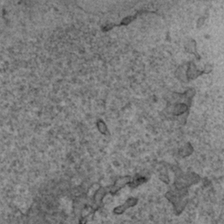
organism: Human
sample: Mitochondria in HCT116 cells